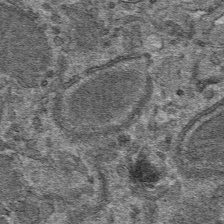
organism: Mouse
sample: Mouse hepatocytes